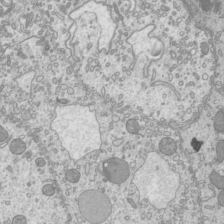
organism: Mouse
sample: Cilia; mouse epididymis